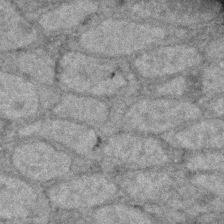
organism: Zebrafish